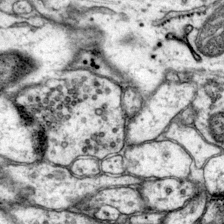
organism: Mouse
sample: Primary visual cortex